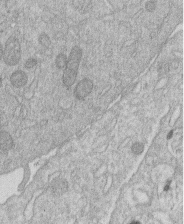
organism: Human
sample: Macrophage cells